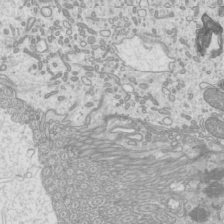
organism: Mouse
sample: Cilia; mouse epididymis